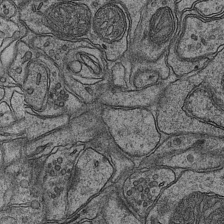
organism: Mouse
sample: CA1 Hippocampus